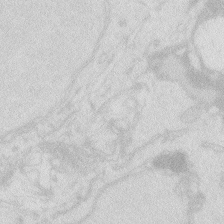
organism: Zebrafish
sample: Macrophage